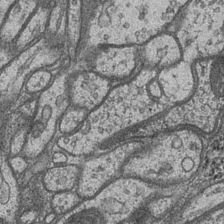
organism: Drosophila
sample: Optic medulla